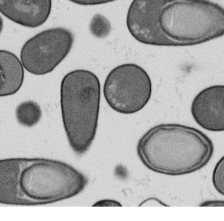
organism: B. subtilis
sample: Bacterial spore